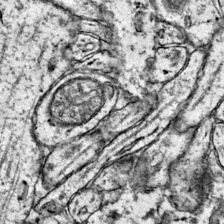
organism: Mouse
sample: Primary visual cortex